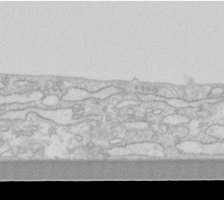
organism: Human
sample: Fibroblast cells